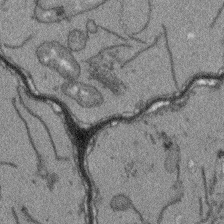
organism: Arabidopsis thaliana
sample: Root tip